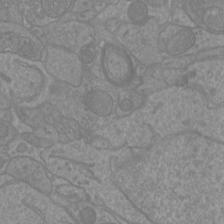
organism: Mouse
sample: Cortical neurons